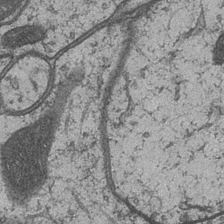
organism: Drosophila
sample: Optic medulla